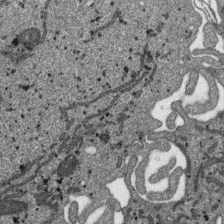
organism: Human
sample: Lung epithelial cells infected with SARS-CoV-2